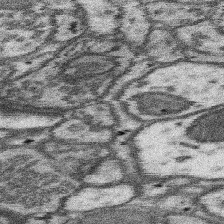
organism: Mouse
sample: Somatosensory cortex neuropil